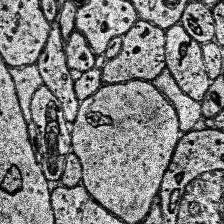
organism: Human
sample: Temporal Lobe